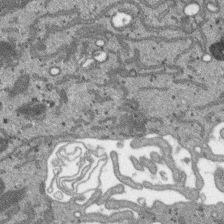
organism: Human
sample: Lung epithelial cells infected with SARS-CoV-2